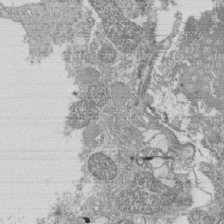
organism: Tetrahymena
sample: Cilia in tetrahymena